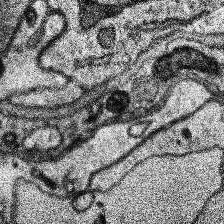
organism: Human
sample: Temporal Lobe